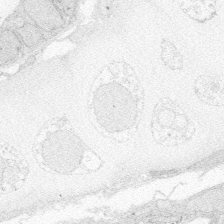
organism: Zebrafish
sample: Whole-Brain